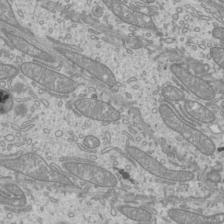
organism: Mouse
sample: Cilia; mouse epididymis